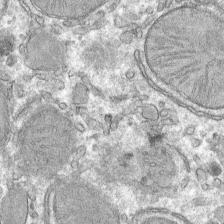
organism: Mouse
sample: Mouse hepatocytes